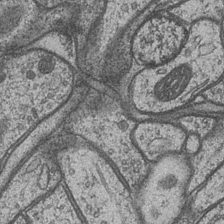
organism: Drosophila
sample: Optic medulla